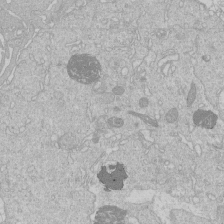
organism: Human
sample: Macrophage cells